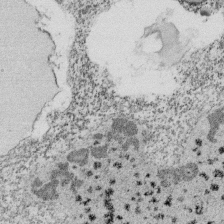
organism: Tetrahymena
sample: Cilia in tetrahymena